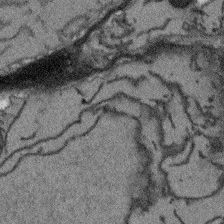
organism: Arabidopsis thaliana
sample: Root tip